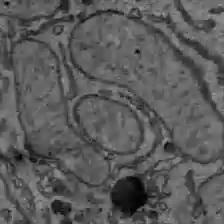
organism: C57BL Mouse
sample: Liver